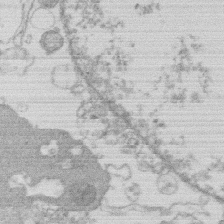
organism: Human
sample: Macrophage cells